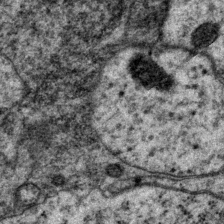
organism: P. pacificus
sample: Pharynx